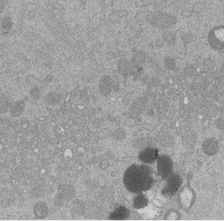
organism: Mouse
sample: Dividing mouse embryo 1 cell stage